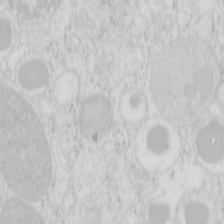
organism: Mouse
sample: Pancreas